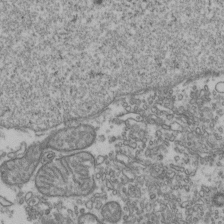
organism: Human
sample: Activated Jurkat CD4+ T cells